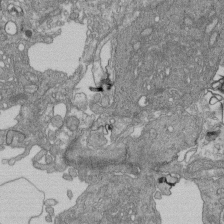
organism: Human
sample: Retinal organoid Rod and Cone cells